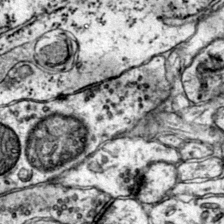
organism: Mouse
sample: Primary visual cortex